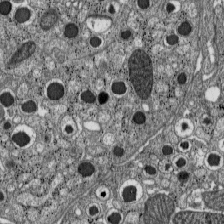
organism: C57BL Mouse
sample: Pancreatic islet